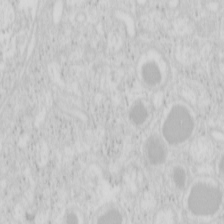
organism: Mouse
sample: Pancreas